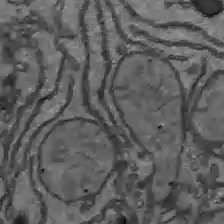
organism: C57BL Mouse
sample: Liver